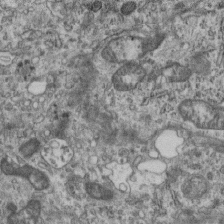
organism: Mouse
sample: Centriole in ependymal cells